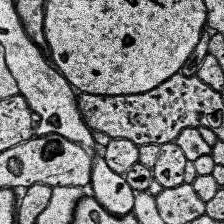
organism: Human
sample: Temporal Lobe